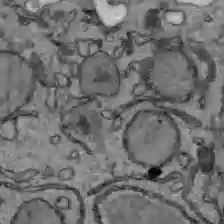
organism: C57BL Mouse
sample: Liver